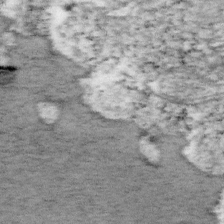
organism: Mouse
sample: OT-I killer T cells with ID8 ovarian cancer cells